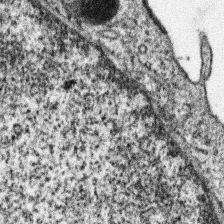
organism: Human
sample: HeLa cells